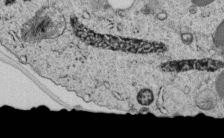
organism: C. elegans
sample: C. elegans embryo early stage